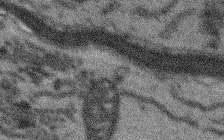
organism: Arabidopsis thaliana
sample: Root tip